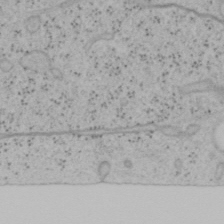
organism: Human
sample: HeLa cells